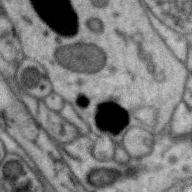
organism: Zebra finch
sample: Brain